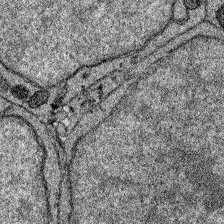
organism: Zebrafish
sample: Larval olfactory bulb